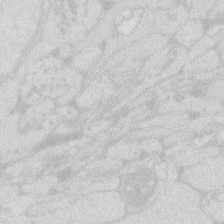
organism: Zebrafish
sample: Macrophage